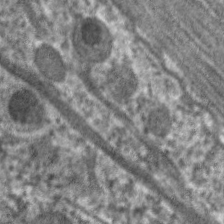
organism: C. elegans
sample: Pharynx